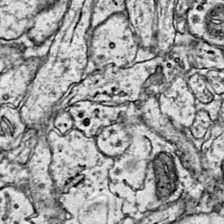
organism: Mouse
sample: Primary visual cortex